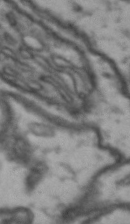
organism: Drosophila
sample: Brain